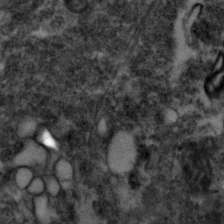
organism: Zebrafish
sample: Zebrafish embryo